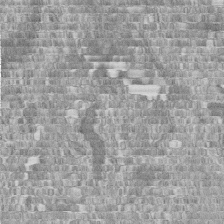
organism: Human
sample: Centriole in fibroblast cells